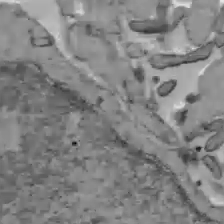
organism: C57BL Mouse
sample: Liver